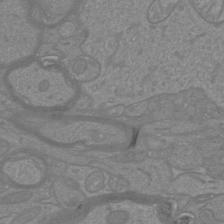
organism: Mouse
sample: Cortical neurons